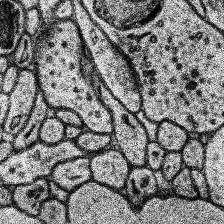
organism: Human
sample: Temporal Lobe